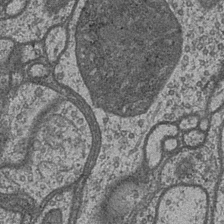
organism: Drosophila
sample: Optic medulla